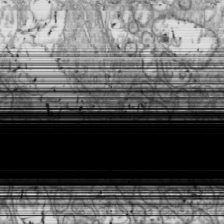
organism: Drosophila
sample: Cell division; meiosis; drosophila spermatocytes